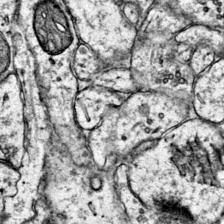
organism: Mouse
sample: Primary visual cortex